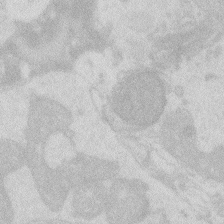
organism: Zebrafish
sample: Macrophage